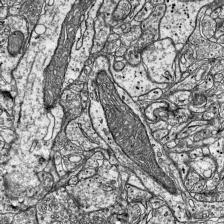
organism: Mouse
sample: Visual Cortex